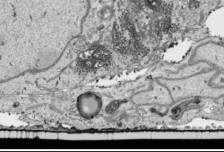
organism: Human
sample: Mitochondria in HCT116 cells